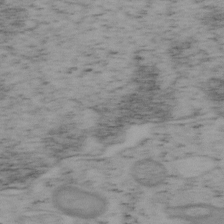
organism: Mouse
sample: OT-I killer T cells with ID8 ovarian cancer cells